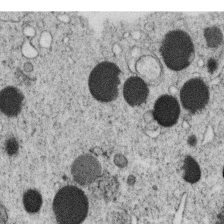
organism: C. elegans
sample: C. elegans oocyte; sperm cells